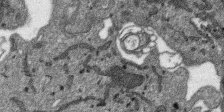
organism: Human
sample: Lung epithelial cells infected with SARS-CoV-2